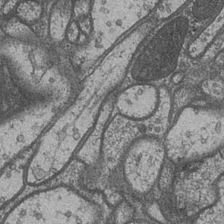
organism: Drosophila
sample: Optic medulla